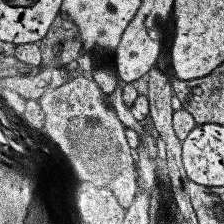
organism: Human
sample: Temporal Lobe